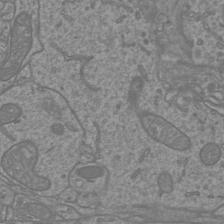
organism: Mouse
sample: Cortical neurons